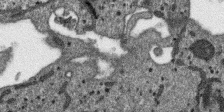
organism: Human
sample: Lung epithelial cells infected with SARS-CoV-2